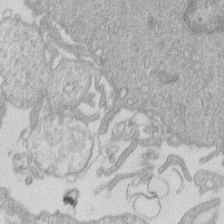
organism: Human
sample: Macrophage cells